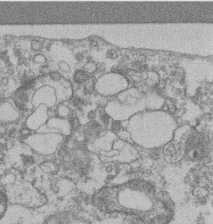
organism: Mouse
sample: T cell stromal cell synapse